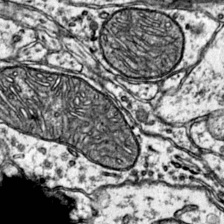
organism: Mouse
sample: Primary visual cortex